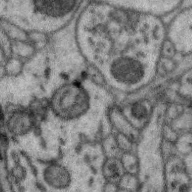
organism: Zebra finch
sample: Brain